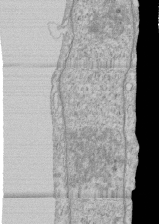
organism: Human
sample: CRL-1474